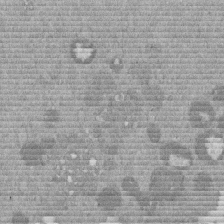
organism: Mouse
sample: Dividing mouse embryo 1 cell stage